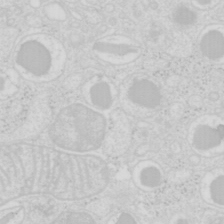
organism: Mouse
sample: Pancreas